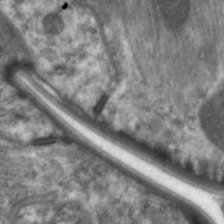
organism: C. elegans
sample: Pharynx